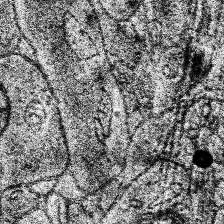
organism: Human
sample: Temporal Lobe